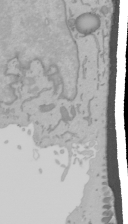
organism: Mouse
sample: Cancer cell death in ED-1 cells